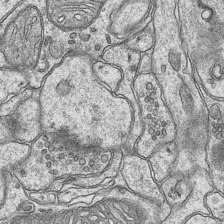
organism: Mouse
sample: CA1 Hippocampus